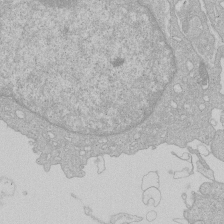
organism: Human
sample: Macrophage cells